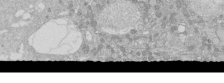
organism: Human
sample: Caco-2 cells